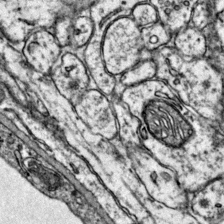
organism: Mouse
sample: Primary visual cortex